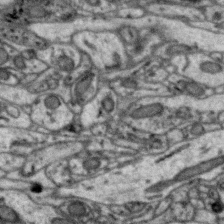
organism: Zebra finch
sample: Brain